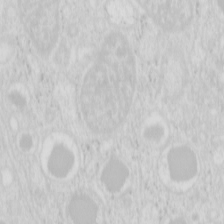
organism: Mouse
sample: Pancreas